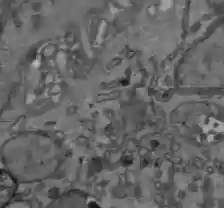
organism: C57BL Mouse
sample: Liver